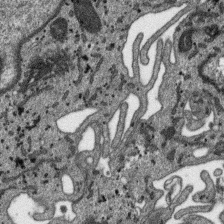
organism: Human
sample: Lung epithelial cells infected with SARS-CoV-2